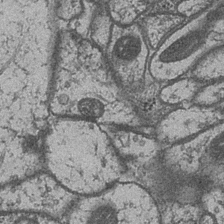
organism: Drosophila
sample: Optic medulla